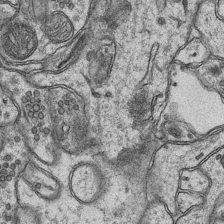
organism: Mouse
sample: CA1 Hippocampus